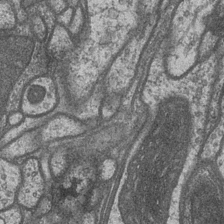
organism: Drosophila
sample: Optic medulla